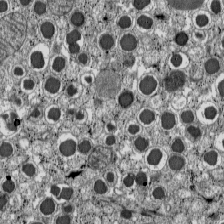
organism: C57BL Mouse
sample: Pancreatic islet